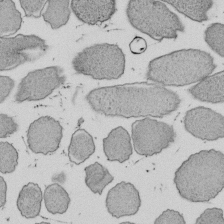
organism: E. coli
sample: Bacterial nucleoid